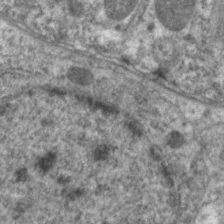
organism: C. elegans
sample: Pharynx